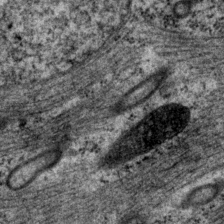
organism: P. pacificus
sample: Pharynx